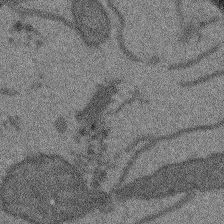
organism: Arabidopsis thaliana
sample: Root tip